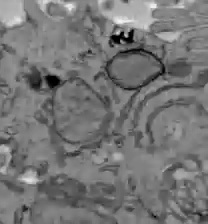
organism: C57BL Mouse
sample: Liver